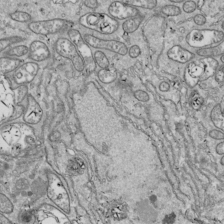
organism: Drosophila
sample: Cell division; meiosis; drosophila spermatocytes